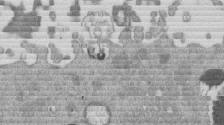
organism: Mouse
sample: Dividing mouse embryo 1 cell stage